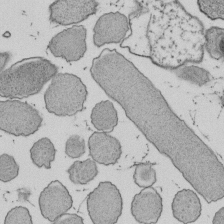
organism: E. coli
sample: Bacterial nucleoid